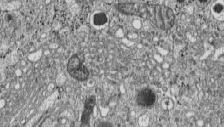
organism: C57BL Mouse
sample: Pancreatic islet